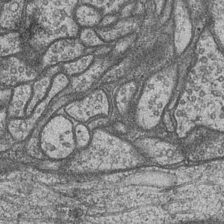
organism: Drosophila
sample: Optic medulla